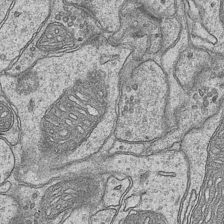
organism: Mouse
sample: CA1 Hippocampus